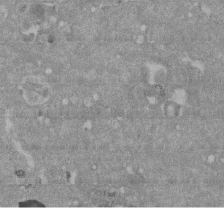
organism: Mouse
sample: ED-1 cell nuclei; centrioles